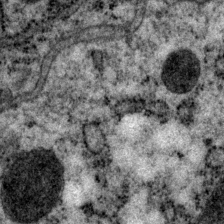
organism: P. pacificus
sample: Pharynx